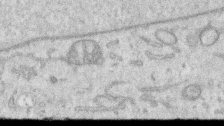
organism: Human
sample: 1205lu cells